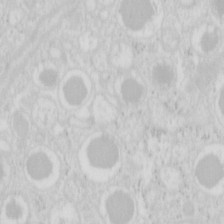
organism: Mouse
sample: Pancreas